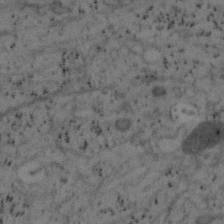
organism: Human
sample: HeLa cells